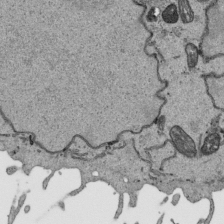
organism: Human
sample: Mitochondria in HCT116 cells